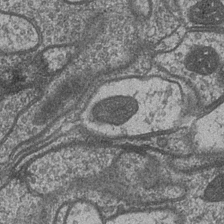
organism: Drosophila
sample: Optic medulla